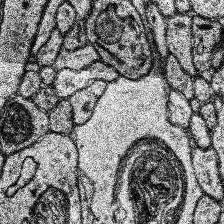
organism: Human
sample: Temporal Lobe